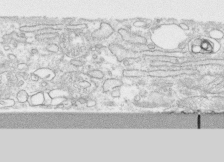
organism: Human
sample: CRL-1474